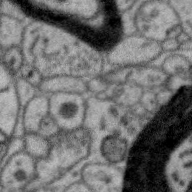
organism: Zebra finch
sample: Brain